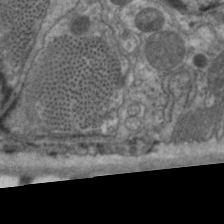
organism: C. elegans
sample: Pharynx